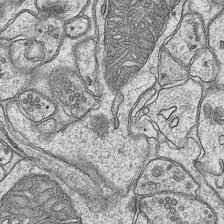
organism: Mouse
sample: CA1 Hippocampus